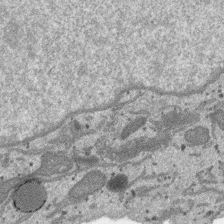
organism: Human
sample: Lung epithelial cells infected with SARS-CoV-2